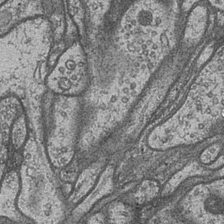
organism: Drosophila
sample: Optic medulla